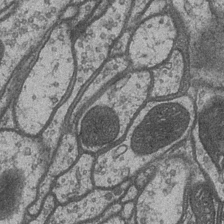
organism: Drosophila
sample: Optic medulla